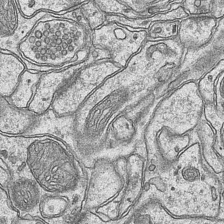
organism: Mouse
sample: CA1 Hippocampus